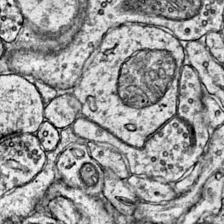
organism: Mouse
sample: Primary visual cortex